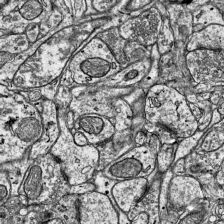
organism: Mouse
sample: Visual Cortex